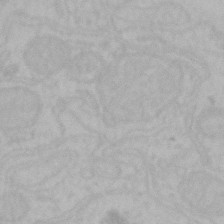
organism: Mouse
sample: Choroid plexus